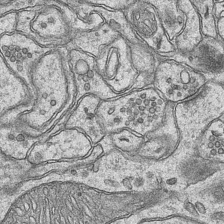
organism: Mouse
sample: CA1 Hippocampus